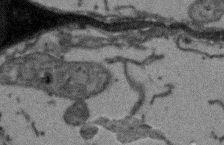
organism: Arabidopsis thaliana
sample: Root tip